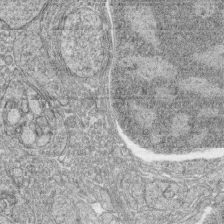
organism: Zebrafish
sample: synaptic ribbons in rod cells and cone cells